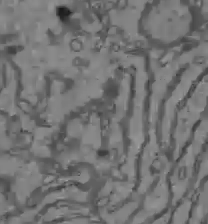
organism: C57BL Mouse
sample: Liver